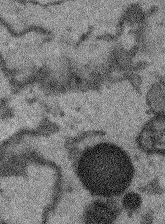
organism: Arabidopsis thaliana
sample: Root tip